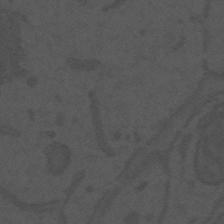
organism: Mouse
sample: Suprachiasmatic nucleus